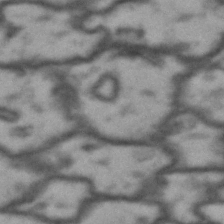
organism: Drosophila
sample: Brain